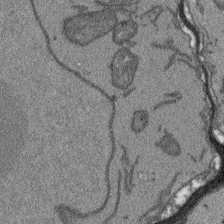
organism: Arabidopsis thaliana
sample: Root tip